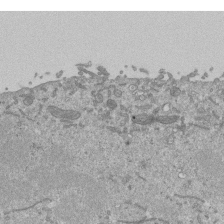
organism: Mouse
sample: ED-1 cell nuclei; centrioles